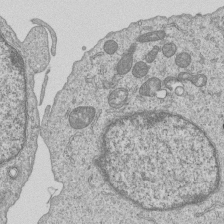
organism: Human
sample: MDA-MB-231 cells